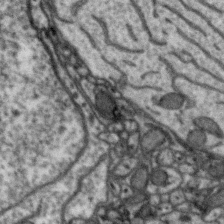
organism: Zebra finch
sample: Brain